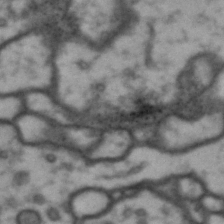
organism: Drosophila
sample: Brain